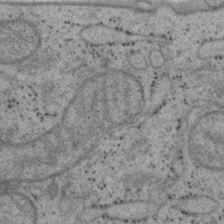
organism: Human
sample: HeLa cells